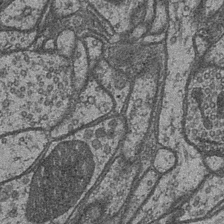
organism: Drosophila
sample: Optic medulla